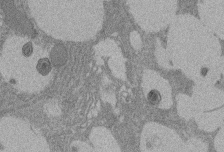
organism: Rat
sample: Salivary granule